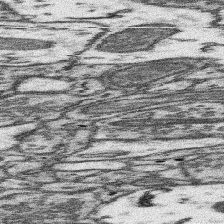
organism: Mouse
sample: Somatosensory cortex neuropil